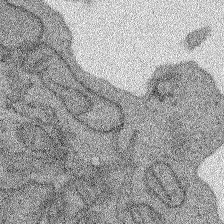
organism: Human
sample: HeLa cells